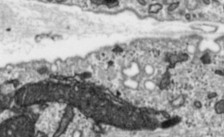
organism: Toxoplasma gondii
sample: Parasites in a vacuole inside a host cell